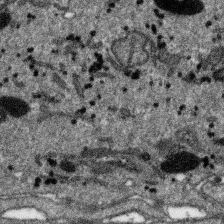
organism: Human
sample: Lung epithelial cells infected with SARS-CoV-2